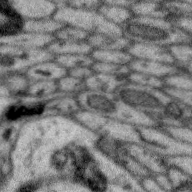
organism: Zebra finch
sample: Brain